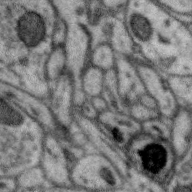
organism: Zebra finch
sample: Brain